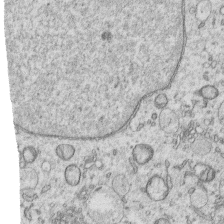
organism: Human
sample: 1205lu cells